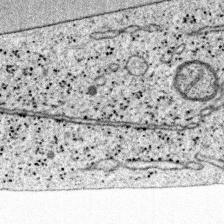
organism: Human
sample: HeLa cells